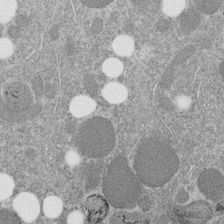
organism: C. elegans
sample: C. elegans embryo early stage